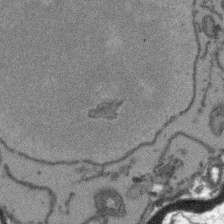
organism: Arabidopsis thaliana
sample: Root tip